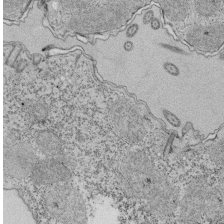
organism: Tetrahymena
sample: Cilia in tetrahymena